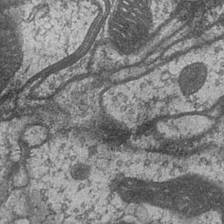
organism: Drosophila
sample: Optic medulla